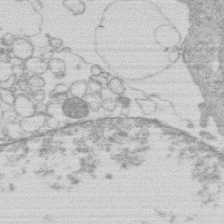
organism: Human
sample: Macrophage cells